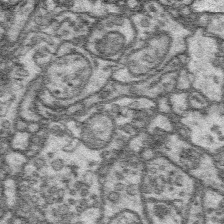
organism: Platynereis dumerilii